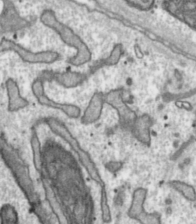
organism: Toxoplasma gondii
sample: Parasites in a vacuole inside a host cell